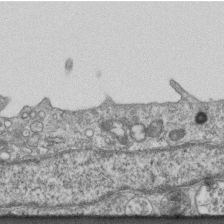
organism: Mouse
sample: Centriole in ependymal cells